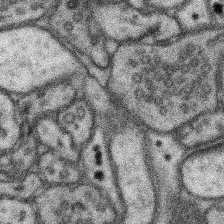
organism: Mouse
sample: Somatosensory cortex neuropil